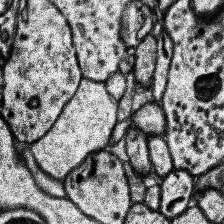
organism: Human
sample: Temporal Lobe